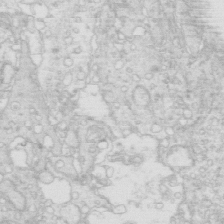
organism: Mouse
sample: Multiciliated cells